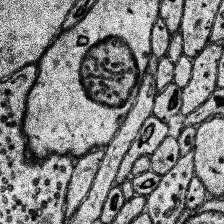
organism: Human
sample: Temporal Lobe